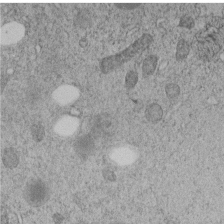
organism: C. elegans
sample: C. elegans embryo early stage